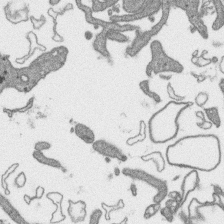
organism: Human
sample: Lung epithelial cells infected with SARS-CoV-2